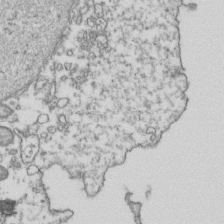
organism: Human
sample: Activated Jurkat CD4+ T cells